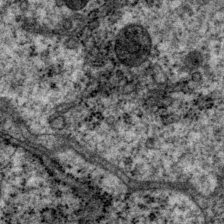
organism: P. pacificus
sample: Pharynx